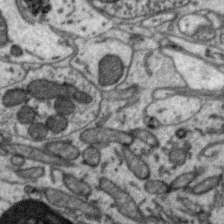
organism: Zebra finch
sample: Brain